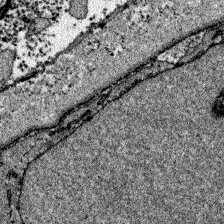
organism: Zebrafish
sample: Larval olfactory bulb